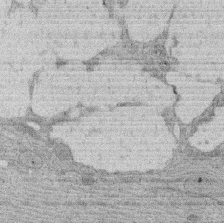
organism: Rat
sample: Salivary granule